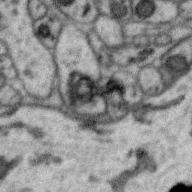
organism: Zebra finch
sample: Brain